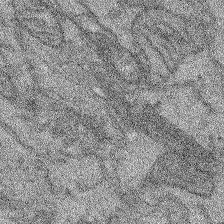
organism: Human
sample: HeLa cells